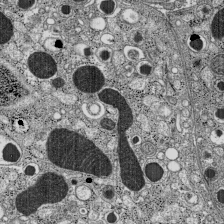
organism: C57BL Mouse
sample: Pancreatic islet